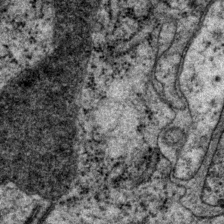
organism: P. pacificus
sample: Pharynx